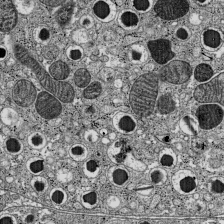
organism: C57BL Mouse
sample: Pancreatic islet